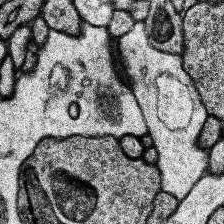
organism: Human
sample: Temporal Lobe